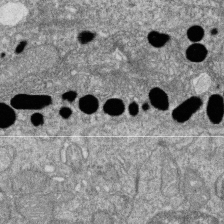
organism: Zebrafish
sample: Cilia; retinal pigment epithelium